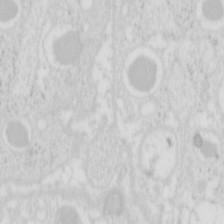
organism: Mouse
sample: Pancreas